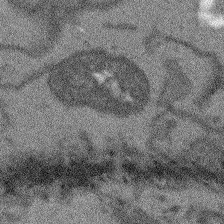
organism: Arabidopsis thaliana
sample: Root tip